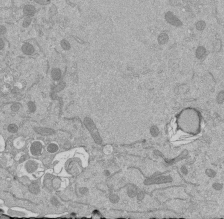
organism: Mouse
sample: ED-1 cell nuclei; centrioles